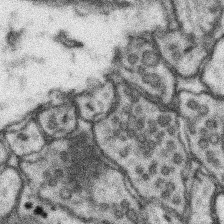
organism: Mouse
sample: Somatosensory cortex neuropil